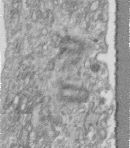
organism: Human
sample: Centriole in fibroblast cells